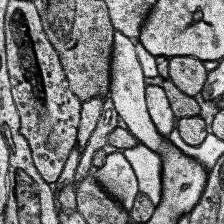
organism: Human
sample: Temporal Lobe